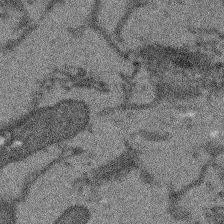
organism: Arabidopsis thaliana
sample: Root tip